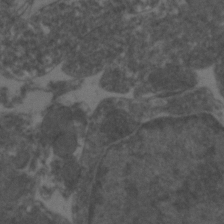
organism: Zebrafish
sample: Zebrafish embryo